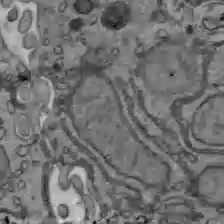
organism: C57BL Mouse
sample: Liver